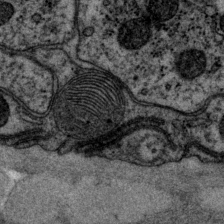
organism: P. pacificus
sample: Pharynx